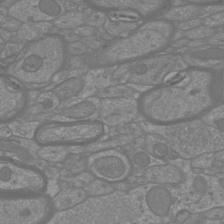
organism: Mouse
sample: Cortical neurons